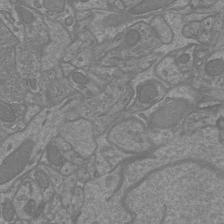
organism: Mouse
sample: Cortical neurons